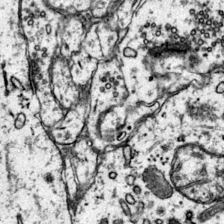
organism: Mouse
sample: Primary visual cortex